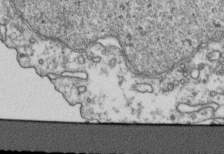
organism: Human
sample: Activated Jurkat CD4+ T cells